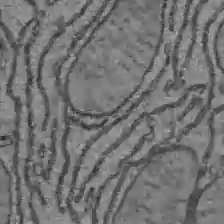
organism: C57BL Mouse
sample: Liver